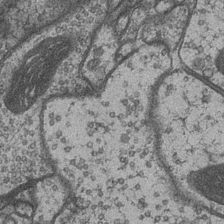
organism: Drosophila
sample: Optic medulla